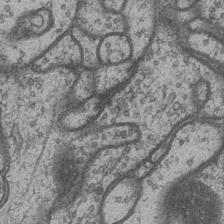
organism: Drosophila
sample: Optic medulla